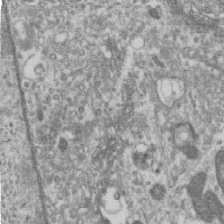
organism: Human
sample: Centriole in RPE cells